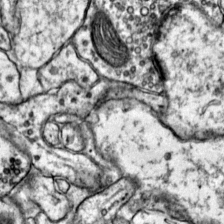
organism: Mouse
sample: Primary visual cortex